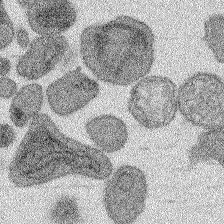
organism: Human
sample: HeLa cells